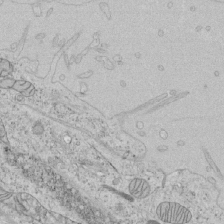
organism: Human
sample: Mitochondria in HCT116 cells